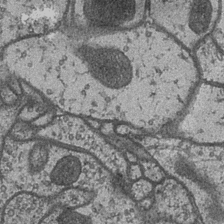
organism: Drosophila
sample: Optic medulla